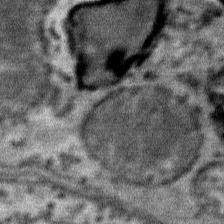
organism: Mouse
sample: Mouse Salivary gland